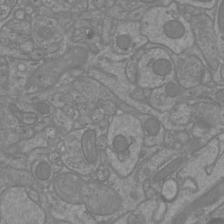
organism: Mouse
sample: Cortical neurons